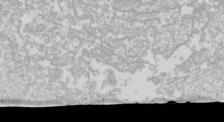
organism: Drosophila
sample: Cell division; meiosis; drosophila spermatocytes